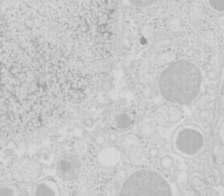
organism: Mouse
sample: Pancreas